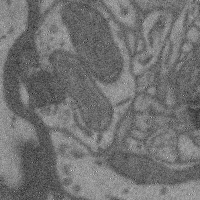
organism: Mouse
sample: Cerebral cortex